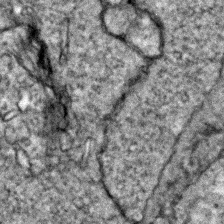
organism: Zebrafish